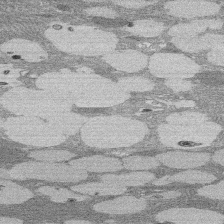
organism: Rat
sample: Salivary granule